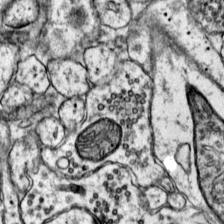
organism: Mouse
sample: Primary visual cortex